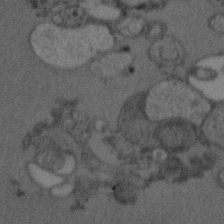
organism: Human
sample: HeLa cells